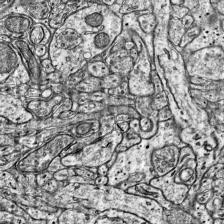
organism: Mouse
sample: Visual Cortex